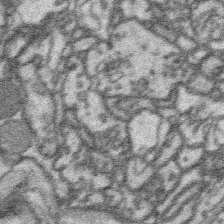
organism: Platynereis dumerilii